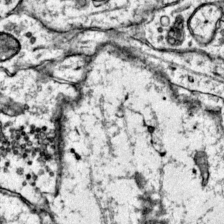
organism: Mouse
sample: Primary visual cortex